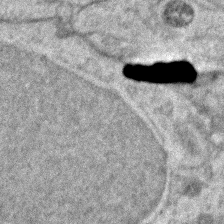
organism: Zebrafish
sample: Zebrafish embryo